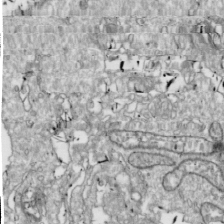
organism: Drosophila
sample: Cell division; meiosis; drosophila spermatocytes